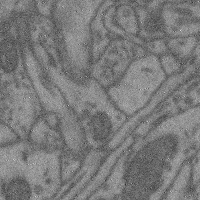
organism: Mouse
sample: Cerebral cortex